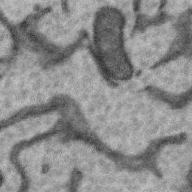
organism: Zebra finch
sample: Brain